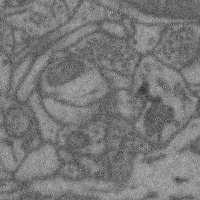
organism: Mouse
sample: Cerebral cortex